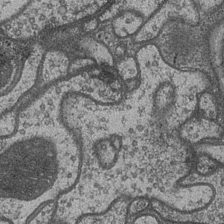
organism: Drosophila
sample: Optic medulla